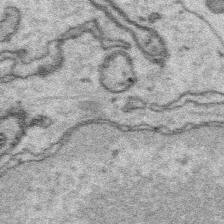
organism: Platynereis dumerilii